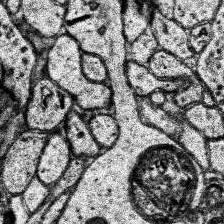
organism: Human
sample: Temporal Lobe